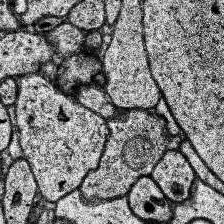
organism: Human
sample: Temporal Lobe